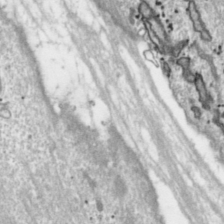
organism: Toxoplasma gondii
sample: Parasites in a vacuole inside a host cell